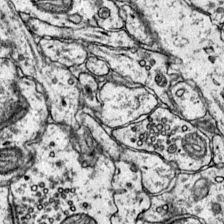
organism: Mouse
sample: Primary visual cortex